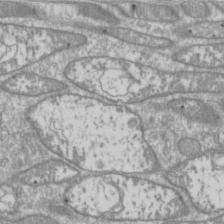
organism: Drosophila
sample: Cell division; meiosis; drosophila spermatocytes